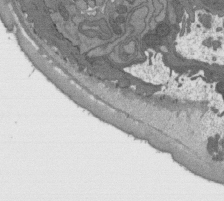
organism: C. elegans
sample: AFD neurons C. elegans